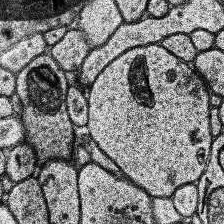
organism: Human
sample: Temporal Lobe